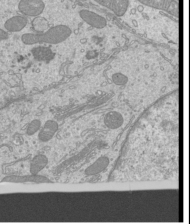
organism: Mouse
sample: Cilia; mouse epididymis